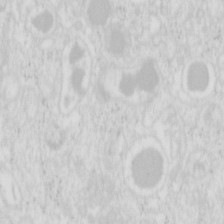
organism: Mouse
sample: Pancreas